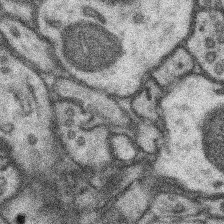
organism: Mouse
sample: Somatosensory cortex neuropil